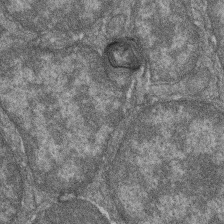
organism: Zebrafish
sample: Cilia; retinal pigment epithelium